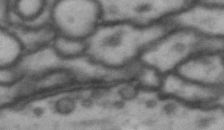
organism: Drosophila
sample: Brain